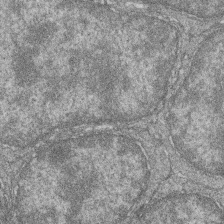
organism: Zebrafish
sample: Cilia; retinal pigment epithelium